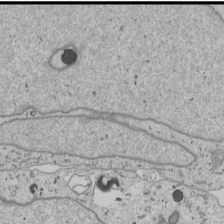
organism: Human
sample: Mitochondria in U2OS cells